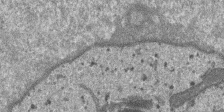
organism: Human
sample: Lung epithelial cells infected with SARS-CoV-2